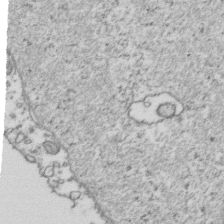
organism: Human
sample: Activated Jurkat CD4+ T cells